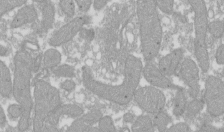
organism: Xenopus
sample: Cilia; centrioles in frog embryo cells